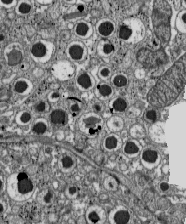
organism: C57BL Mouse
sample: Pancreatic islet